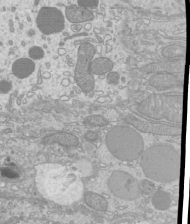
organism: Mouse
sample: Cilia; mouse epididymis